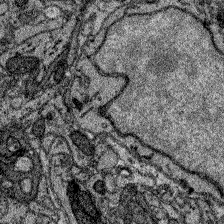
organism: Zebrafish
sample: Larval olfactory bulb